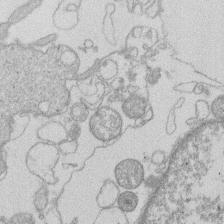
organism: Human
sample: Macrophage cells